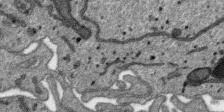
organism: Human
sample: Lung epithelial cells, uninfected (mock) control